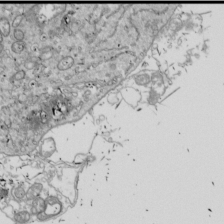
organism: Drosophila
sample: Cell division; meiosis; drosophila spermatocytes